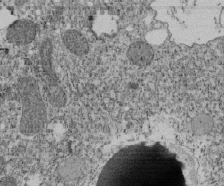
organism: Tetrahymena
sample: Cilia in tetrahymena